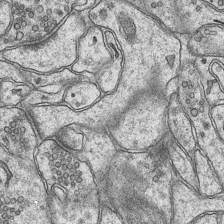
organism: Mouse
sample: CA1 Hippocampus